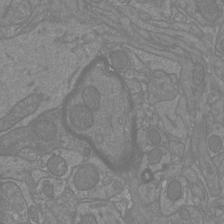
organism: Mouse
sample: Cortical neurons